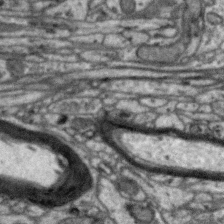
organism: Zebra finch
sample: Brain